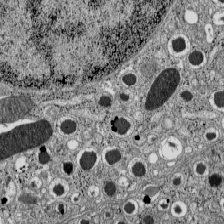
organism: C57BL Mouse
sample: Pancreatic islet